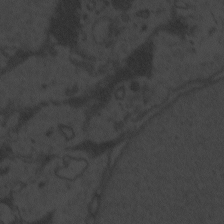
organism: Zebrafish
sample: Macrophage infected with Toxoplasma gondii